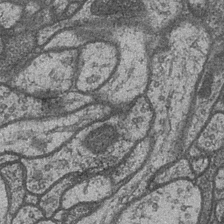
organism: Drosophila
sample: Optic medulla